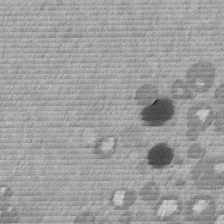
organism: Mouse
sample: Dividing mouse embryo 1 cell stage